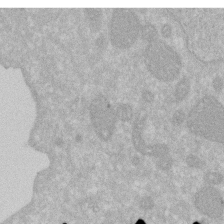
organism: Human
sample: HIV infected U937 cells